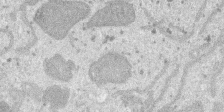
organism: Human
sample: Lung epithelial cells infected with SARS-CoV-2